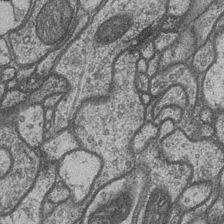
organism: Drosophila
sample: Optic medulla